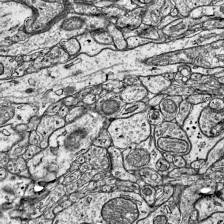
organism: Mouse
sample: Visual Cortex